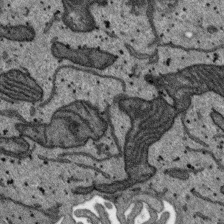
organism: Human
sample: Lung epithelial cells, uninfected (mock) control